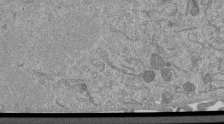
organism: Mouse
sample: ED-1 cell nuclei; centrioles